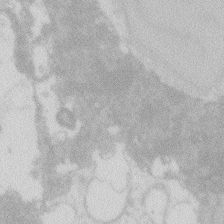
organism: Zebrafish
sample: Macrophage